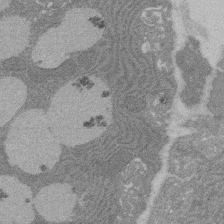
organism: Rat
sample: Salivary granule